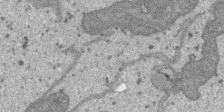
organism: Human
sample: Lung epithelial cells infected with SARS-CoV-2